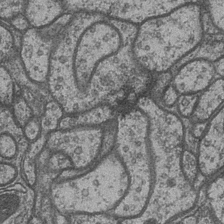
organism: Drosophila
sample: Optic medulla